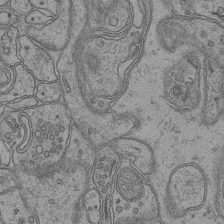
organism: Mouse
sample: CA1 Hippocampus